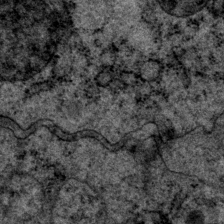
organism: P. pacificus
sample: Pharynx